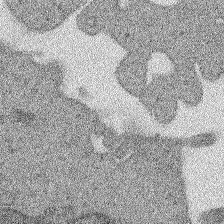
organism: Human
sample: HeLa cells